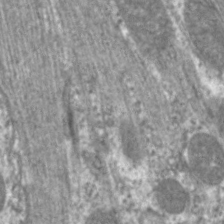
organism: C. elegans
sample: Pharynx